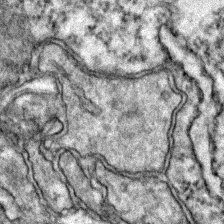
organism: Zebrafish